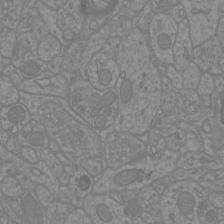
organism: Mouse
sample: Cortical neurons